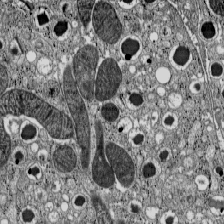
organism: C57BL Mouse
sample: Pancreatic islet